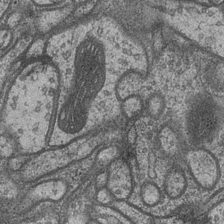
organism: Drosophila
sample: Optic medulla